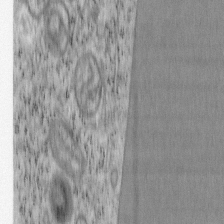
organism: Human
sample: HeLa cells